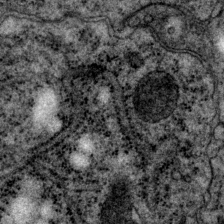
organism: P. pacificus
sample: Pharynx